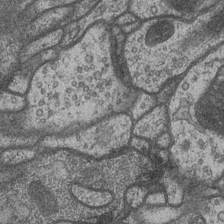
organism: Drosophila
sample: Optic medulla